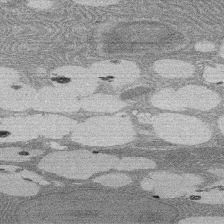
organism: Rat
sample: Salivary granule